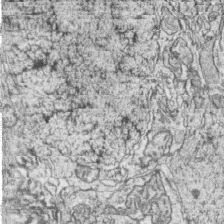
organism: Zebrafish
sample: synaptic ribbons in rod cells and cone cells